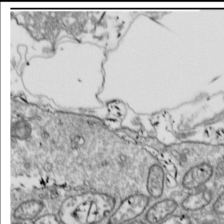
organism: Drosophila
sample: Cell division; meiosis; drosophila spermatocytes